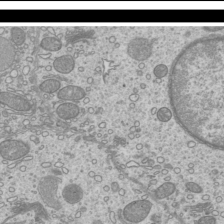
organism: Mouse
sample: Cilia; mouse epididymis